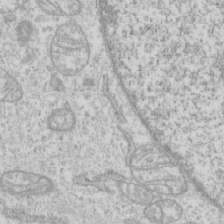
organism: Human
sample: CRL-1474